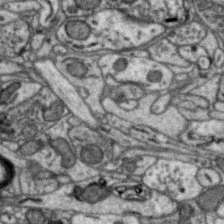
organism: Zebra finch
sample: Brain